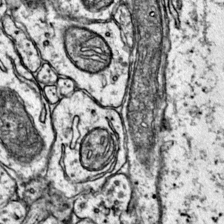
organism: Mouse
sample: Primary visual cortex